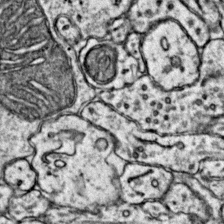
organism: Mouse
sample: Primary visual cortex